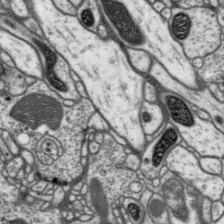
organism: Drosophila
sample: Protocerebral bridge